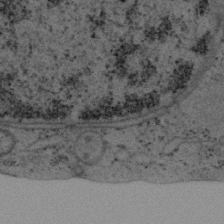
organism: Human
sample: HeLa cells